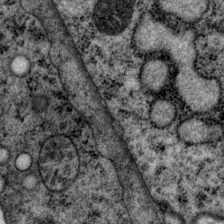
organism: P. pacificus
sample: Pharynx